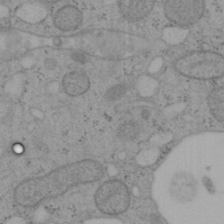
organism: Mouse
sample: OT-I killer T cells with ID8 ovarian cancer cells